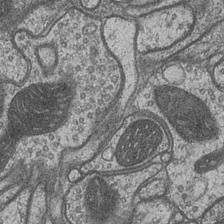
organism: Drosophila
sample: Optic medulla